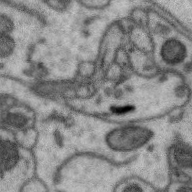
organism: Zebra finch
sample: Brain